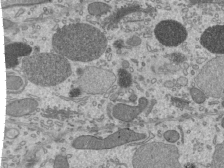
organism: Mouse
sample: Mouse epididymis efferent ductule cilia